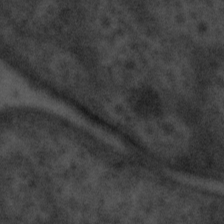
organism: Tuwongella immobilis